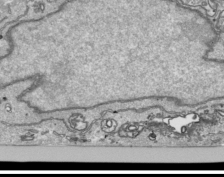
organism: Human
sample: Mitochondria in HCT116 cells